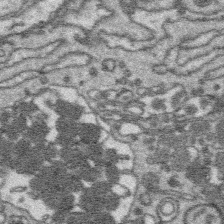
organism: Platynereis dumerilii